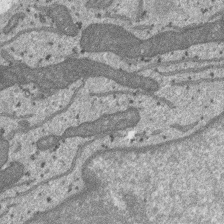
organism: Human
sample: Lung epithelial cells infected with SARS-CoV-2